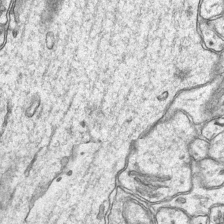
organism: Mouse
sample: CA1 Hippocampus